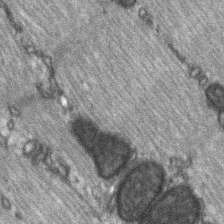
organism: C57BL Mouse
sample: Soleus